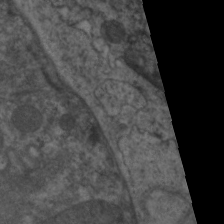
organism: C. elegans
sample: Pharynx